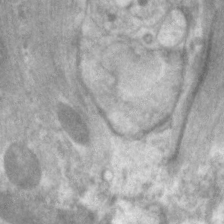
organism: C. elegans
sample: Pharynx